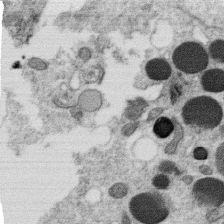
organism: C. elegans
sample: C. elegans oocyte; sperm cells